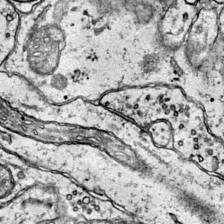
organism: Mouse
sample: Primary visual cortex